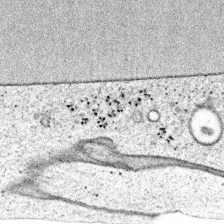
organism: Human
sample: HeLa cells